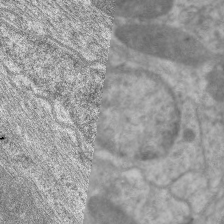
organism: C. elegans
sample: Pharynx